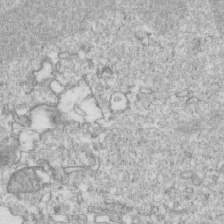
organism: Mouse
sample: Activated OT-1 CD8+ T cells